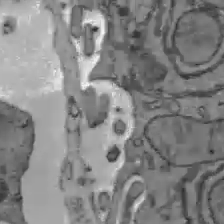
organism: C57BL Mouse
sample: Liver